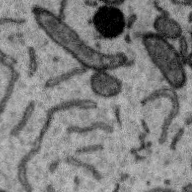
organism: Zebra finch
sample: Brain